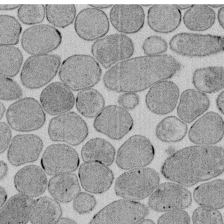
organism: E. coli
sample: Bacterial nucleoid